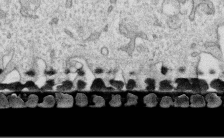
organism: Human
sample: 1205lu cells